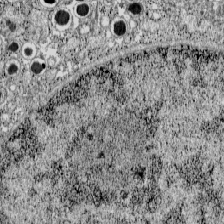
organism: C57BL Mouse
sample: Pancreatic islet